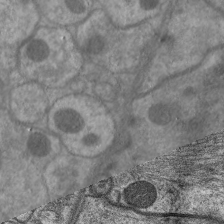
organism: C. elegans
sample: Pharynx